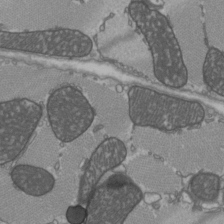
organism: C57BL Mouse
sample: Heart